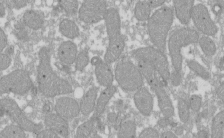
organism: Xenopus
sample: Cilia; centrioles in frog embryo cells